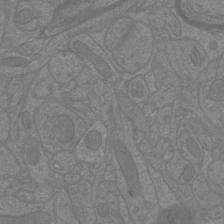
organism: Mouse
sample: Cortical neurons